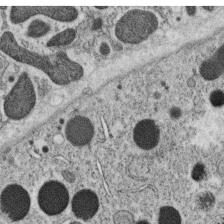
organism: C. elegans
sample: C. elegans oocyte; sperm cells